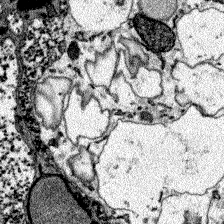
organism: Zebrafish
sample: Larval olfactory bulb